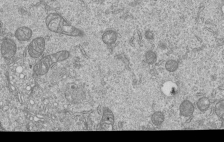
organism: Human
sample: MDA-MB-231 cells